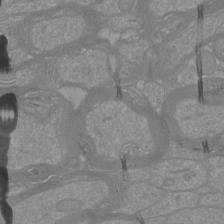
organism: Mouse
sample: Cortical neurons